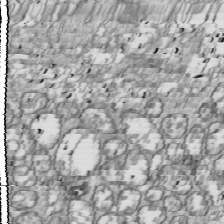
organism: Drosophila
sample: Cell division; meiosis; drosophila spermatocytes